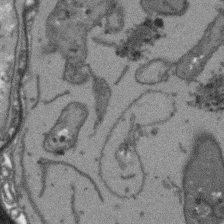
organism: Arabidopsis thaliana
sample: Root tip